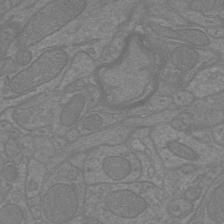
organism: Mouse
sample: Cortical neurons